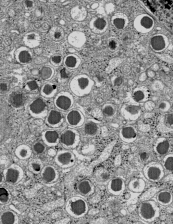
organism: C57BL Mouse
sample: Pancreatic islet